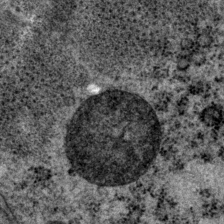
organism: P. pacificus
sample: Pharynx